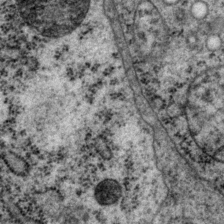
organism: P. pacificus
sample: Pharynx